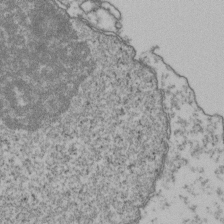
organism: Human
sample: Activated Jurkat CD4+ T cells